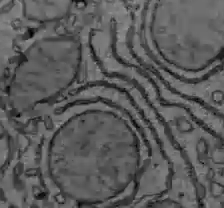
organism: C57BL Mouse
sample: Liver